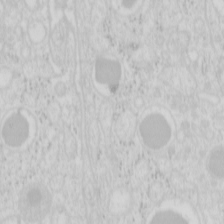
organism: Mouse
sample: Pancreas